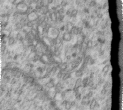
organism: Human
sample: Centriole in RPE cells